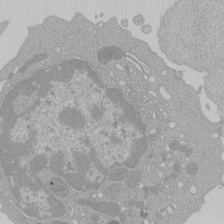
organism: Mouse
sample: Activated Pmel transgenic CD8+ T Cells